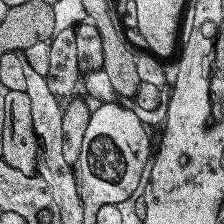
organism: Human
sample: Temporal Lobe